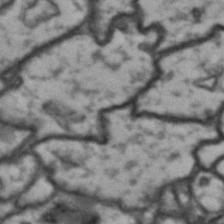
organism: Drosophila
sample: Brain